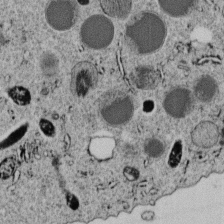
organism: C. elegans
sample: C. elegans embryo early stage